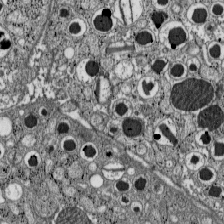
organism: C57BL Mouse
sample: Pancreatic islet